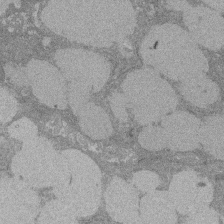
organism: Rat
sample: Salivary granule